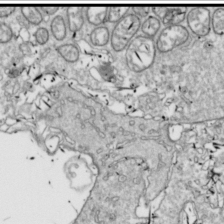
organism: Drosophila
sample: Cell division; meiosis; drosophila spermatocytes